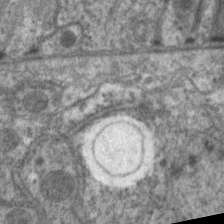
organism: C. elegans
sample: Pharynx